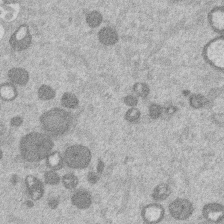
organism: Mouse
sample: Dividing mouse embryo 1 cell stage